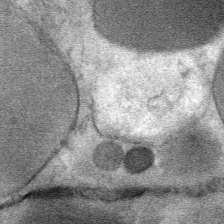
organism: Mouse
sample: Mouse Salivary gland